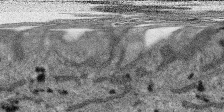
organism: Human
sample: Lung epithelial cells infected with SARS-CoV-2